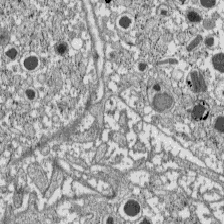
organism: C57BL Mouse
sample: Pancreatic islet